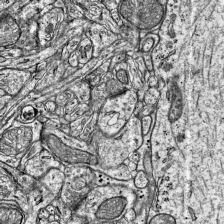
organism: Mouse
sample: Visual Cortex